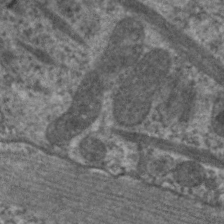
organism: C. elegans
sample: Pharynx